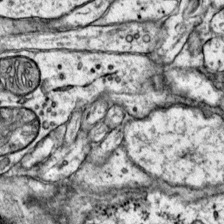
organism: Mouse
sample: Primary visual cortex